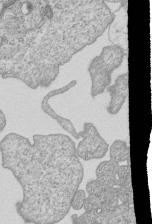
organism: Human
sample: MDA-MB-231 cells